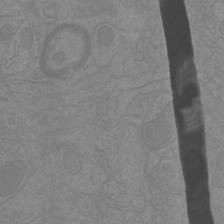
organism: Mouse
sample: Cortical neurons